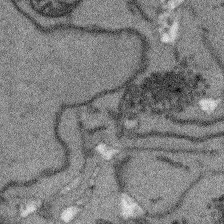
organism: Arabidopsis thaliana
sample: Root tip